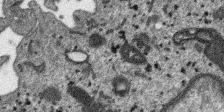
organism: Human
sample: Lung epithelial cells infected with SARS-CoV-2